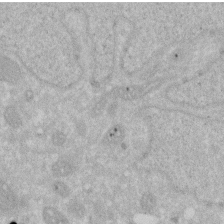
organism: Human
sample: HIV infected U937 cells